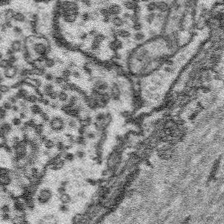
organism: Platynereis dumerilii